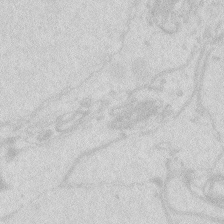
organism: Zebrafish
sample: Macrophage